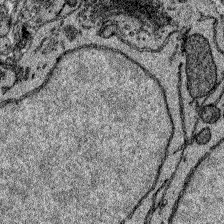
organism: Zebrafish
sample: Larval olfactory bulb